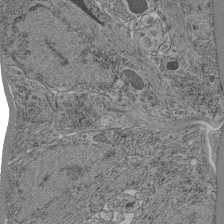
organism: C. elegans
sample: C. elegans pharynx